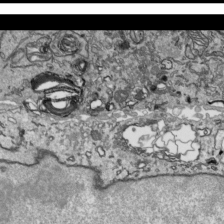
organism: Human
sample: Mitochondria in HCT116 cells